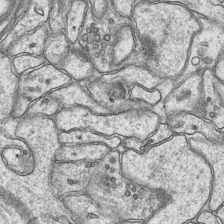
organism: Mouse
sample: CA1 Hippocampus